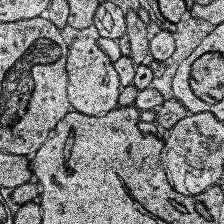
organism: Human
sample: Temporal Lobe